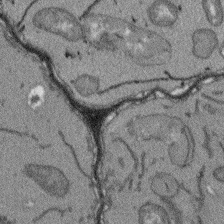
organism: Arabidopsis thaliana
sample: Root tip